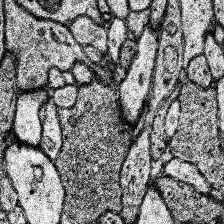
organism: Human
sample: Temporal Lobe